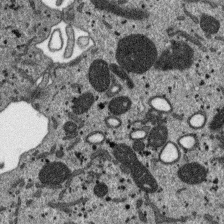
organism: Human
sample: Lung epithelial cells infected with SARS-CoV-2